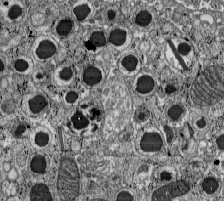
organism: C57BL Mouse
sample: Pancreatic islet